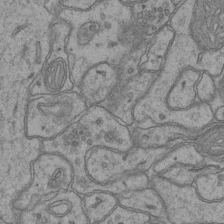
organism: Mouse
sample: CA1 Hippocampus